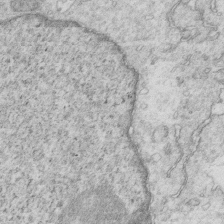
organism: Mouse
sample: Multiciliated cells